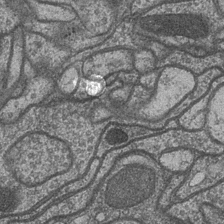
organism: Drosophila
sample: Optic medulla